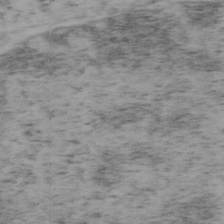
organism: Mouse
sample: OT-I killer T cells with ID8 ovarian cancer cells